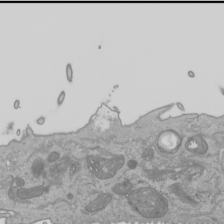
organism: Human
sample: Mitochondria in HCT116 cells